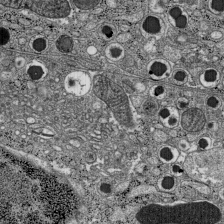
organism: C57BL Mouse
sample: Pancreatic islet